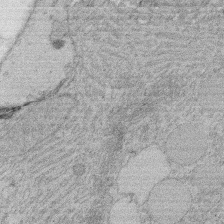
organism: Rat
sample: Salivary granule